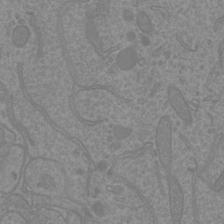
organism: Mouse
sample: Cortical neurons